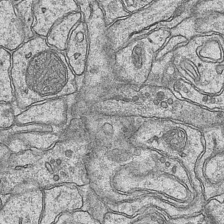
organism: Mouse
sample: CA1 Hippocampus